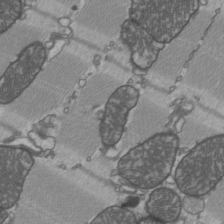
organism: C57BL Mouse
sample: Heart